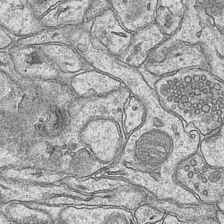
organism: Mouse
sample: CA1 Hippocampus